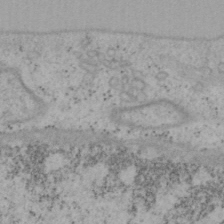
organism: Human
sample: HeLa cells